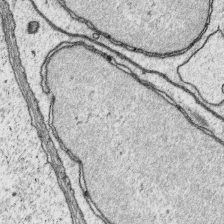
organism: Platynereis dumerilii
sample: Parapodia